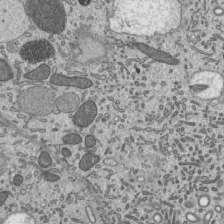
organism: Mouse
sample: Mouse epididymis efferent ductule cilia